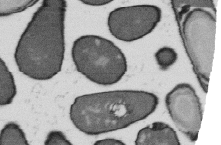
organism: B. subtilis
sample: Bacterial spore